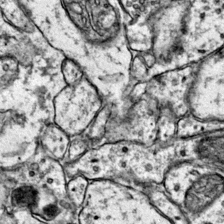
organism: Mouse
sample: Primary visual cortex